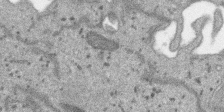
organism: Human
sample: Lung epithelial cells infected with SARS-CoV-2